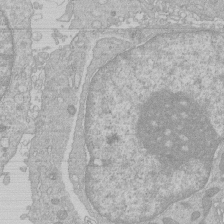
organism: Human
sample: Macrophage cells